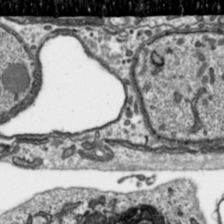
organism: Toxoplasma gondii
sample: Parasites in a vacuole inside a host cell